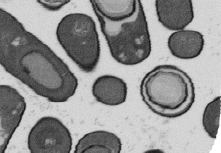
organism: B. subtilis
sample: Bacterial spore